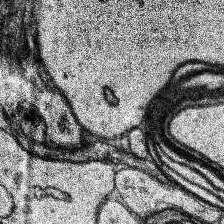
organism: Human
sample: Temporal Lobe